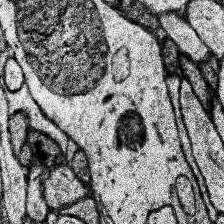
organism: Human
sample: Temporal Lobe